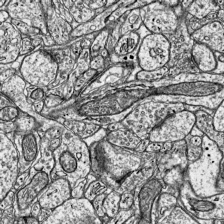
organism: Mouse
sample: Visual Cortex